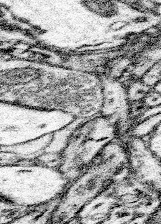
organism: Mouse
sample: Somatosensory cortex neuropil